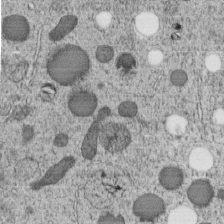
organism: C. elegans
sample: C. elegans embryo early stage